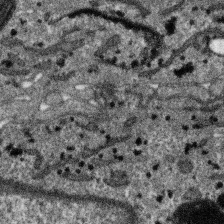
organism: Human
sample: Lung epithelial cells infected with SARS-CoV-2